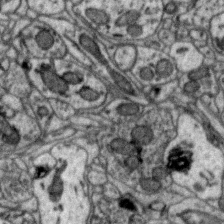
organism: Zebra finch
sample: Brain